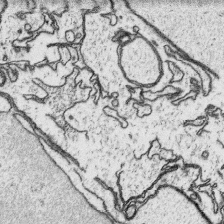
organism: Platynereis dumerilii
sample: Parapodia